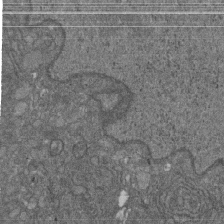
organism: Drosophila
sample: Nephrocyte